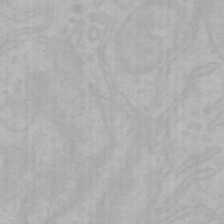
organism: Mouse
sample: Choroid plexus